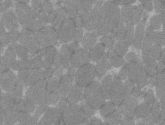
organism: C57BL Mouse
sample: Tibialis anterior muscle cell